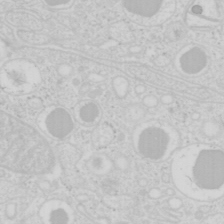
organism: Mouse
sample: Pancreas